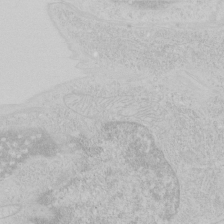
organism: Human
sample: Mitochondria in HCT116 cells